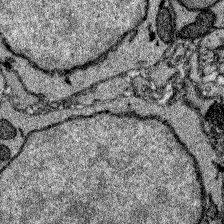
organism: Zebrafish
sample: Larval olfactory bulb